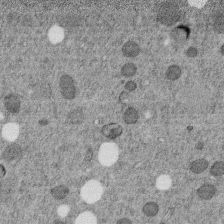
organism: C. elegans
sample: C. elegans embryo early stage